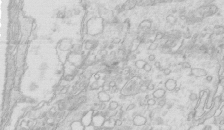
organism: Mouse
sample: Multiciliated cells